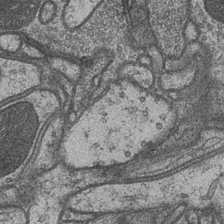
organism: Drosophila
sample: Optic medulla